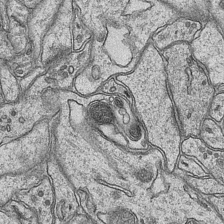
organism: Mouse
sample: CA1 Hippocampus